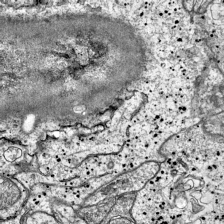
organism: Mouse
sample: Visual Cortex